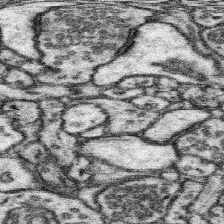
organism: Mouse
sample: Somatosensory cortex neuropil